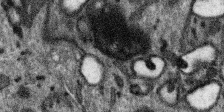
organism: Human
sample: Lung epithelial cells infected with SARS-CoV-2